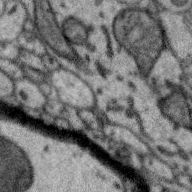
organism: Zebra finch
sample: Brain